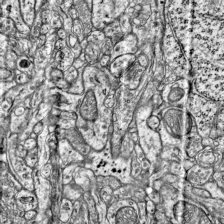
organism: Mouse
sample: Visual Cortex